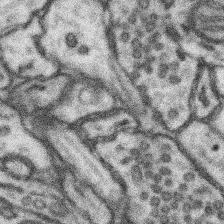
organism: Mouse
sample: Somatosensory cortex neuropil